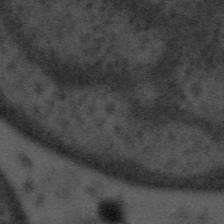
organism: Tuwongella immobilis